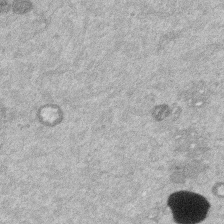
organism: Mouse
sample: Dividing mouse embryo 1 cell stage